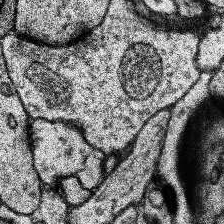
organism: Human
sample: Temporal Lobe